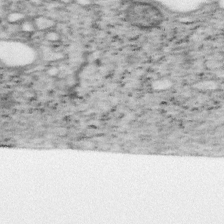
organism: Mouse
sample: OT-I killer T cells with ID8 ovarian cancer cells